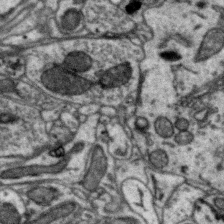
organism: Zebra finch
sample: Brain